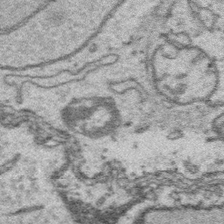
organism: Platynereis dumerilii